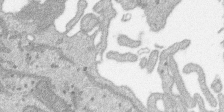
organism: Human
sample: Lung epithelial cells infected with SARS-CoV-2